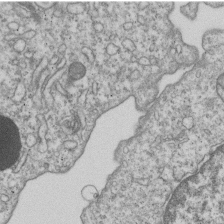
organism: Human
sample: MDA-MB-231 cells